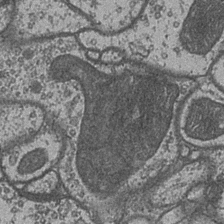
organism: Drosophila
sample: Optic medulla